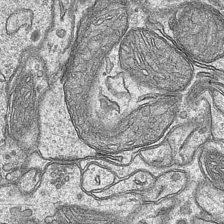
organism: Mouse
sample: CA1 Hippocampus